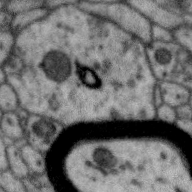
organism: Zebra finch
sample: Brain